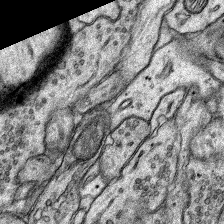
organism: Rat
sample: Hippocampus